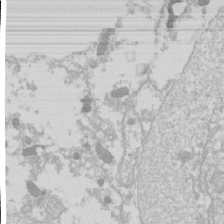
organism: Drosophila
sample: Cell division; meiosis; drosophila spermatocytes